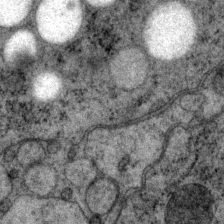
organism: P. pacificus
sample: Pharynx